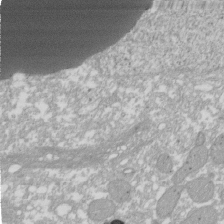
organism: Xenopus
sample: Cilia; centrioles in frog embryo cells